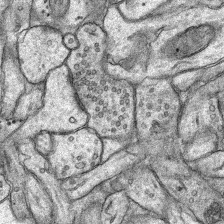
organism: Rat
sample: Hippocampus